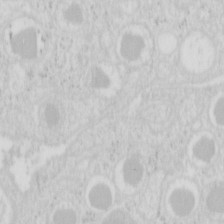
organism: Mouse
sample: Pancreas